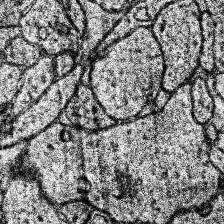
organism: Human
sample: Temporal Lobe